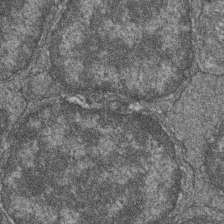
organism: Zebrafish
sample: Cilia; retinal pigment epithelium